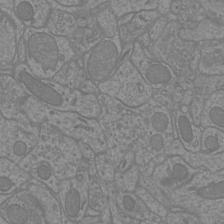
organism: Mouse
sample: Cortical neurons